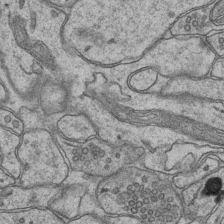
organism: Mouse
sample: CA1 Hippocampus